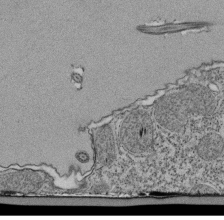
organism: Tetrahymena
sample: Cilia in tetrahymena